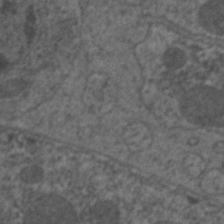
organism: C. elegans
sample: Pharynx